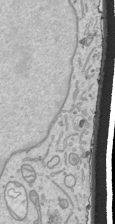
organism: Human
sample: Mitochondria in HCT116 cells